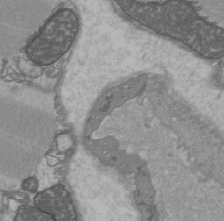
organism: C57BL Mouse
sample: Heart